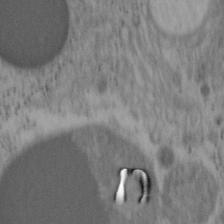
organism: Mouse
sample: OT-I killer T cells with ID8 ovarian cancer cells